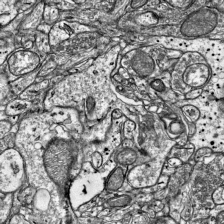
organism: Mouse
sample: Visual Cortex